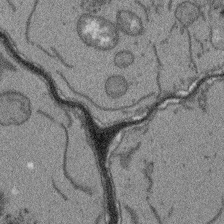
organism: Arabidopsis thaliana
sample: Root tip